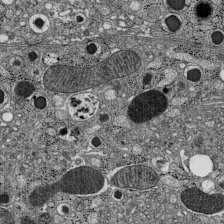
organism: C57BL Mouse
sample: Pancreatic islet